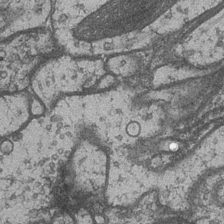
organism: Drosophila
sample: Optic medulla